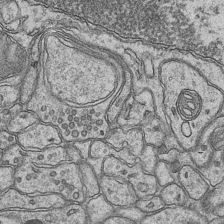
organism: Mouse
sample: CA1 Hippocampus